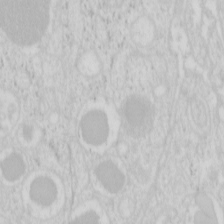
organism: Mouse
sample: Pancreas